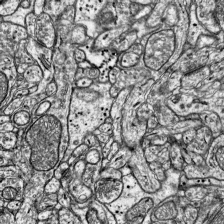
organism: Mouse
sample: Visual Cortex